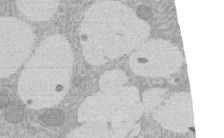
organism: Rat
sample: Salivary granule